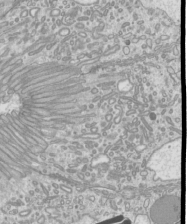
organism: Mouse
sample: Cilia; mouse epididymis